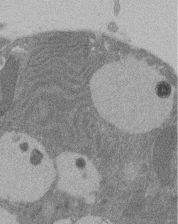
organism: Rat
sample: Salivary granule